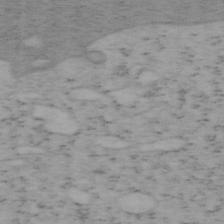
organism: Mouse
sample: OT-I killer T cells with ID8 ovarian cancer cells